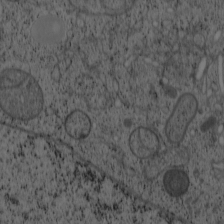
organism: African green monkey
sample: COS-7 cells